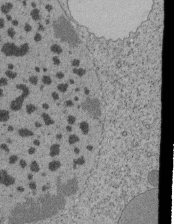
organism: Tetrahymena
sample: Cilia in tetrahymena